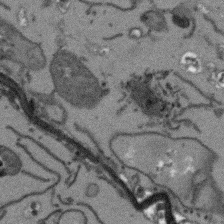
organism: Arabidopsis thaliana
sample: Root tip